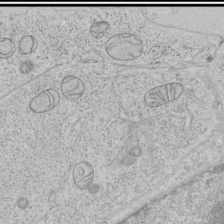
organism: Human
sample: Mitochondria in HCT116 cells